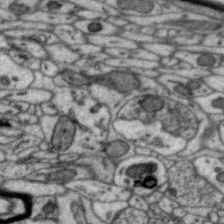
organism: Zebra finch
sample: Brain